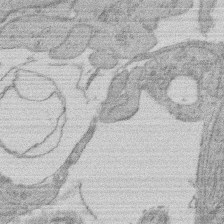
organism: Rat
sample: Salivary granule